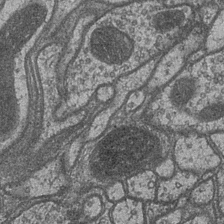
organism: Drosophila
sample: Optic medulla